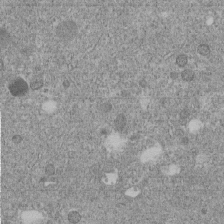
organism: C. elegans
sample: C. elegans embryo early stage